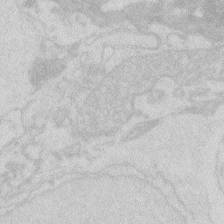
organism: Zebrafish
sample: Macrophage